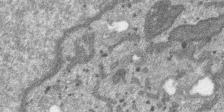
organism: Human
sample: Lung epithelial cells infected with SARS-CoV-2